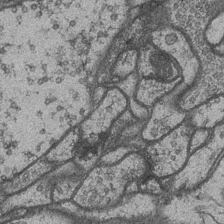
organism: Drosophila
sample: Optic medulla